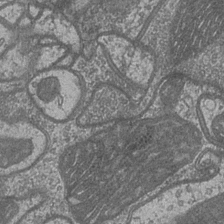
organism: Drosophila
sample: Optic medulla